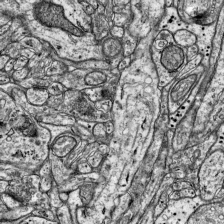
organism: Mouse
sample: Visual Cortex